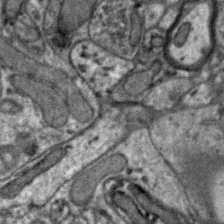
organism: Zebra finch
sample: Brain